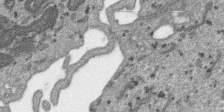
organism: Human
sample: Lung epithelial cells infected with SARS-CoV-2